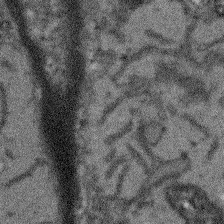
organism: Arabidopsis thaliana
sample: Root tip